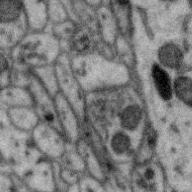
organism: Zebra finch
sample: Brain